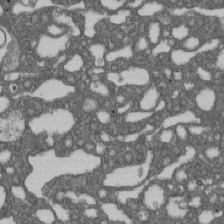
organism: Drosophila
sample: Nephrocyte